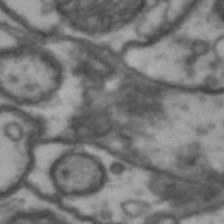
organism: Drosophila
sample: Brain